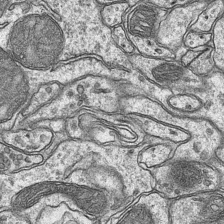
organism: Mouse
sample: CA1 Hippocampus